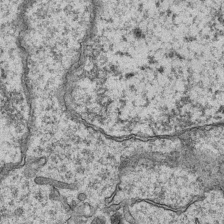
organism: Mouse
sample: CA1 Hippocampus